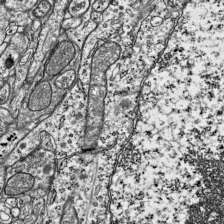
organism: Mouse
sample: Visual Cortex